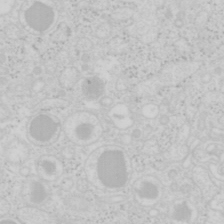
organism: Mouse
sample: Pancreas